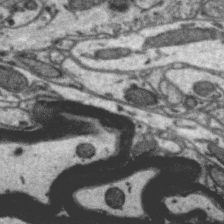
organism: Zebra finch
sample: Brain